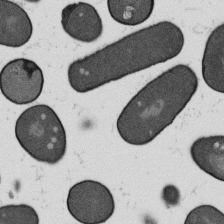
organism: B. subtilis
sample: Bacterial spore